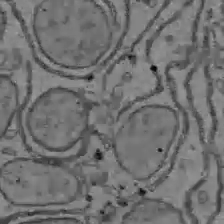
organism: C57BL Mouse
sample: Liver